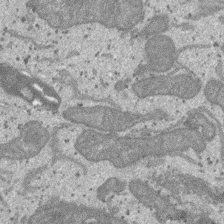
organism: Human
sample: Lung epithelial cells infected with SARS-CoV-2